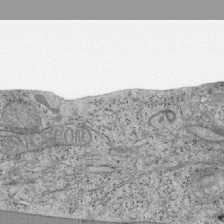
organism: Human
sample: HeLa cells